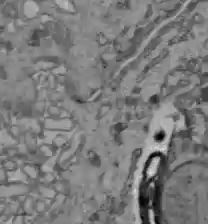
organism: C57BL Mouse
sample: Liver